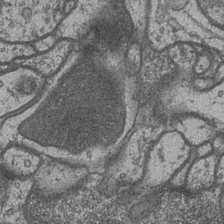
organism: Drosophila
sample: Optic medulla